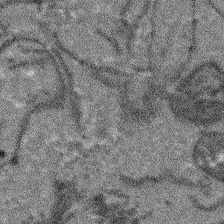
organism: Arabidopsis thaliana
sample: Root tip